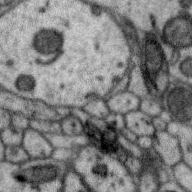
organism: Zebra finch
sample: Brain